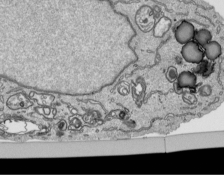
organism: Human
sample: Mitochondria in HCT116 cells